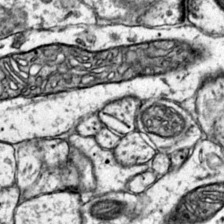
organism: Mouse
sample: Primary visual cortex